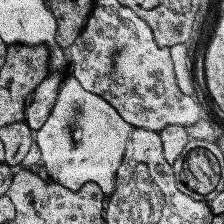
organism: Human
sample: Temporal Lobe